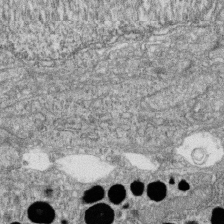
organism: Zebrafish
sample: Cilia; retinal pigment epithelium